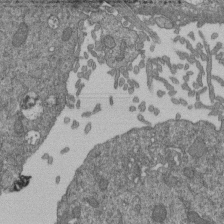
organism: Human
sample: Retinal organoid Rod and Cone cells